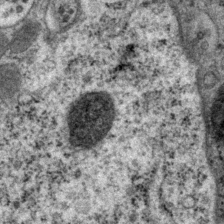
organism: P. pacificus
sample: Pharynx